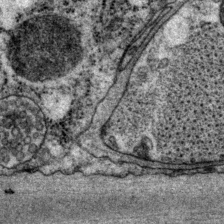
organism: P. pacificus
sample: Pharynx